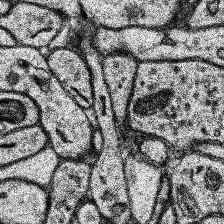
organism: Human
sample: Temporal Lobe